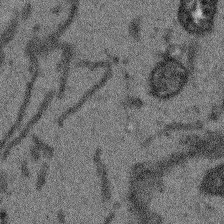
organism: Arabidopsis thaliana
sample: Root tip